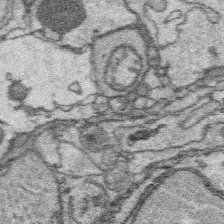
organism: Platynereis dumerilii